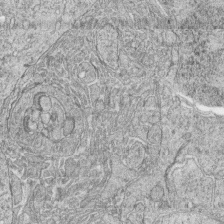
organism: Zebrafish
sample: synaptic ribbons in rod cells and cone cells